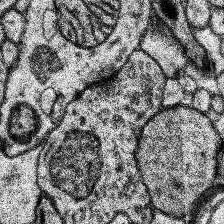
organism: Human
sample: Temporal Lobe